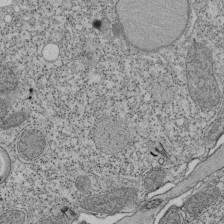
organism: Tetrahymena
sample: Cilia in tetrahymena